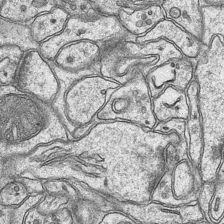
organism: Mouse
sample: CA1 Hippocampus